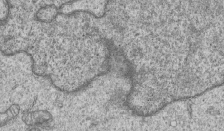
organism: Human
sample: MDA-MB-231 cells